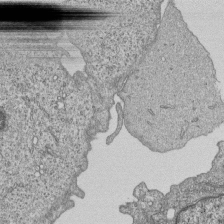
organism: Human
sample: MDA-MB-231 cells